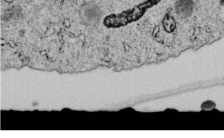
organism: C. elegans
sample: C. elegans embryo early stage